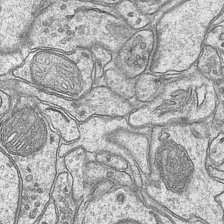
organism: Mouse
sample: CA1 Hippocampus